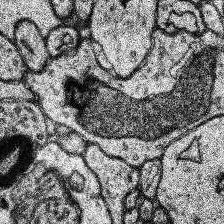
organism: Human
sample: Temporal Lobe